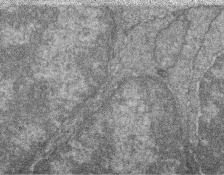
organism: Zebrafish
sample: Cilia; retinal pigment epithelium